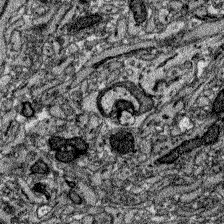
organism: Zebrafish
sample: Larval olfactory bulb